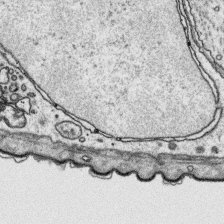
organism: Platynereis dumerilii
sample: Parapodia